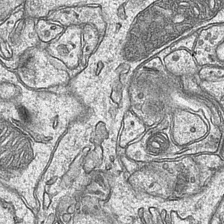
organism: Mouse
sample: CA1 Hippocampus